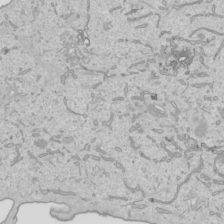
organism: Human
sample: Mitochondria in HCT116 cells